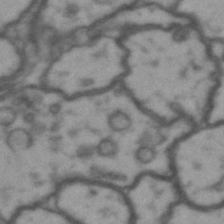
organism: Drosophila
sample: Brain